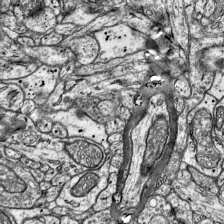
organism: Mouse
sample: Visual Cortex